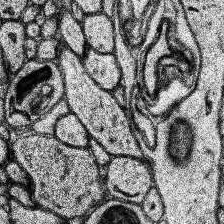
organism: Human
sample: Temporal Lobe